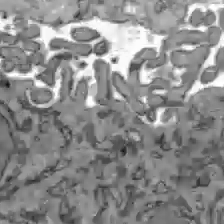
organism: C57BL Mouse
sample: Liver